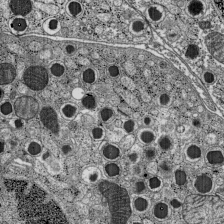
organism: C57BL Mouse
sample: Pancreatic islet